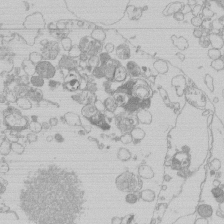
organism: Human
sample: Macrophage cells